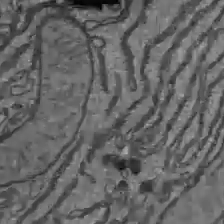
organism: C57BL Mouse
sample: Liver